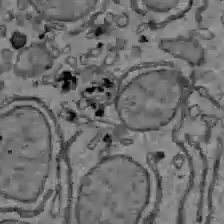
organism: C57BL Mouse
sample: Liver